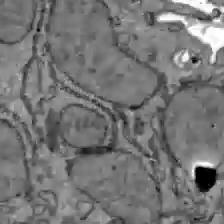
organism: C57BL Mouse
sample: Liver